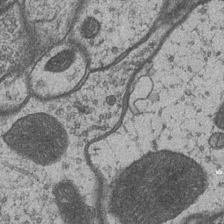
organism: Drosophila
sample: Optic medulla